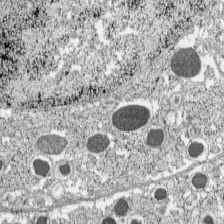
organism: C57BL Mouse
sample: Pancreatic islet